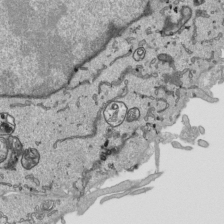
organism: Human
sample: Mitochondria in HCT116 cells